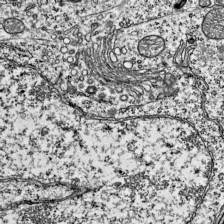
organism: Mouse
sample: Visual Cortex